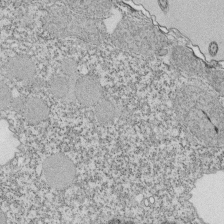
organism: Tetrahymena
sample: Cilia in tetrahymena